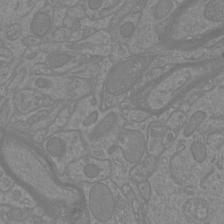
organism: Mouse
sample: Cortical neurons